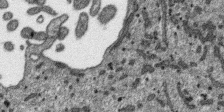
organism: Human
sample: Lung epithelial cells infected with SARS-CoV-2